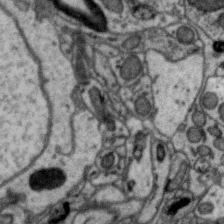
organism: Zebra finch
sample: Brain